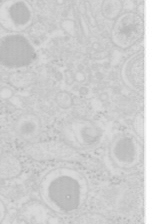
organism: Mouse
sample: Pancreas